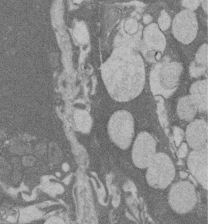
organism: Rat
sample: Salivary granule